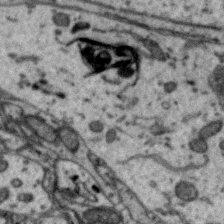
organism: Zebra finch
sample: Brain